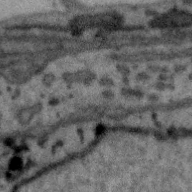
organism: Zebra finch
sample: Brain